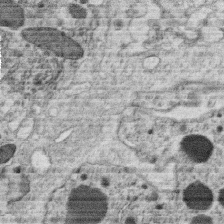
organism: C. elegans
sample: C. elegans oocyte; sperm cells